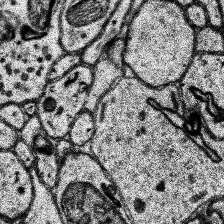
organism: Human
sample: Temporal Lobe